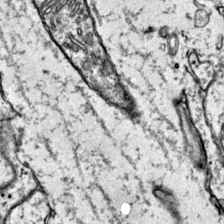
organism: Mouse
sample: Primary visual cortex